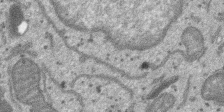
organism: Human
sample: Lung epithelial cells infected with SARS-CoV-2